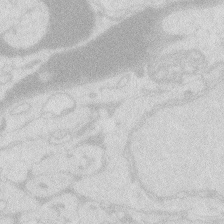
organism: Zebrafish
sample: Macrophage